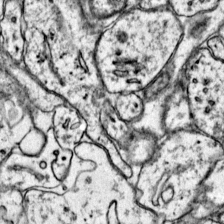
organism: Mouse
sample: Primary visual cortex